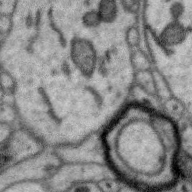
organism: Zebra finch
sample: Brain